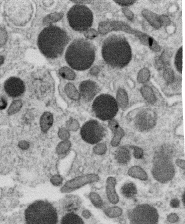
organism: C. elegans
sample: C. elegans oocyte; sperm cells